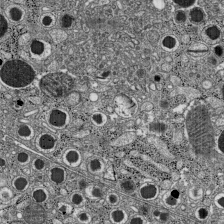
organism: C57BL Mouse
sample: Pancreatic islet